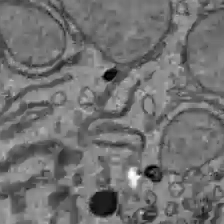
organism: C57BL Mouse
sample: Liver